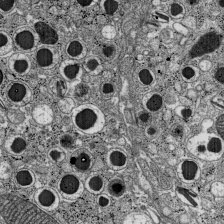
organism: C57BL Mouse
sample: Pancreatic islet